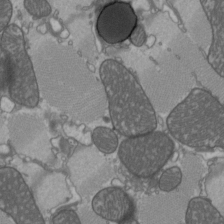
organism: C57BL Mouse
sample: Heart